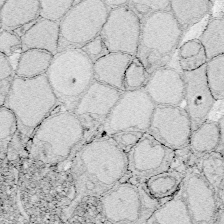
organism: Zebrafish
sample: Whole-Brain